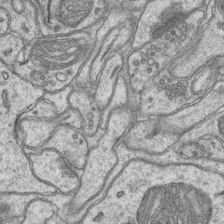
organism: Mouse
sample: CA1 Hippocampus